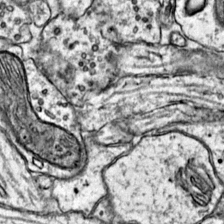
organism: Mouse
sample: Primary visual cortex